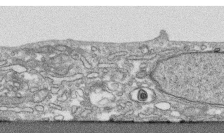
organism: Human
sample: CRL-1474